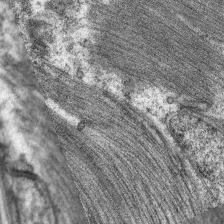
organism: C. elegans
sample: Pharynx